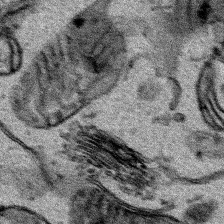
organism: Human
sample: Mitochondria in HCT116 cells